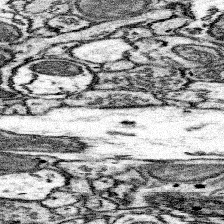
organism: Mouse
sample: Somatosensory cortex neuropil